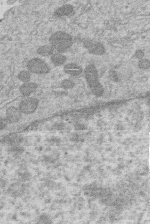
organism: Human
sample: Macrophage cells